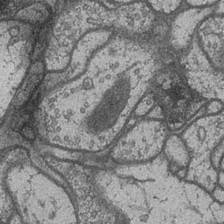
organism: Drosophila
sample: Optic medulla